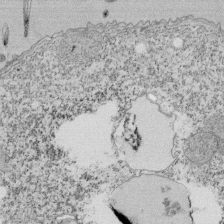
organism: Tetrahymena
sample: Cilia in tetrahymena